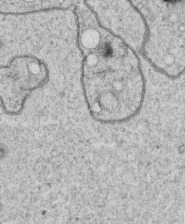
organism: C. elegans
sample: C. elegans oocyte; sperm cells